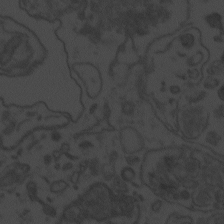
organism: Zebrafish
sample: Macrophage infected with Toxoplasma gondii